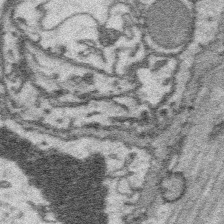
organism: Platynereis dumerilii